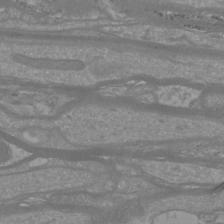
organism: Mouse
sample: Cortical neurons